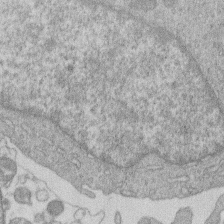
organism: Human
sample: Macrophage cells